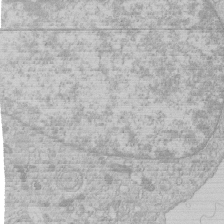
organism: Human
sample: Macrophage cells